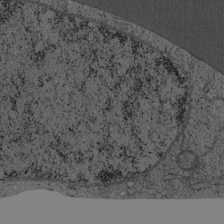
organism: African green monkey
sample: COS-7 cells